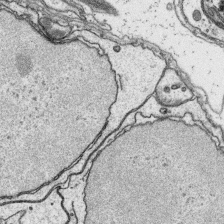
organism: Platynereis dumerilii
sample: Parapodia